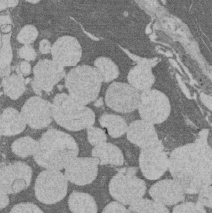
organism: Rat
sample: Salivary granule